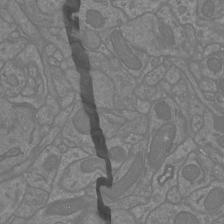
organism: Mouse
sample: Cortical neurons